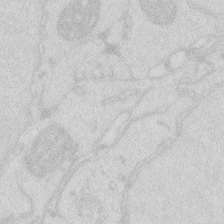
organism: Zebrafish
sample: Macrophage